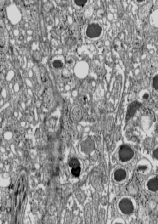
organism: C57BL Mouse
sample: Pancreatic islet